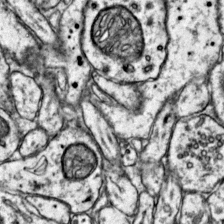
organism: Mouse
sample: Primary visual cortex